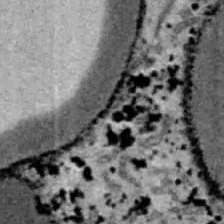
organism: Mouse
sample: Liver from an obese (ob/ob) mouse